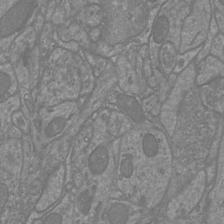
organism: Mouse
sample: Cortical neurons